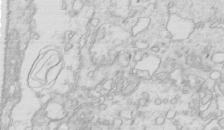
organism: Mouse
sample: Multiciliated cells